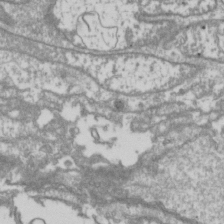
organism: Drosophila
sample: Cell division; meiosis; drosophila spermatocytes